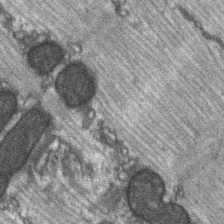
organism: C57BL Mouse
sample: Soleus